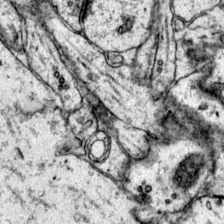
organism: Mouse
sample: Primary visual cortex